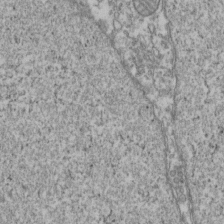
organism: Human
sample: Activated Jurkat CD4+ T cells